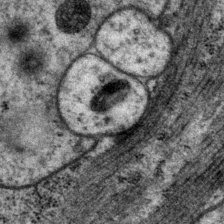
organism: P. pacificus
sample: Pharynx